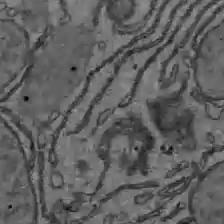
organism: C57BL Mouse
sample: Liver